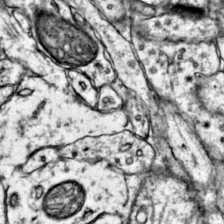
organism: Mouse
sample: Primary visual cortex